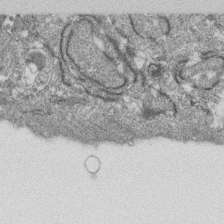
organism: African green monkey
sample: Vero E6 cells infected with SARS-CoV-2